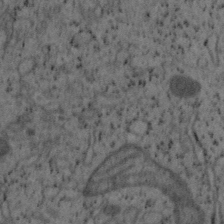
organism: Human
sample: HeLa cells